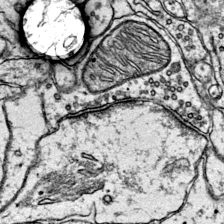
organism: Mouse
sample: Primary visual cortex